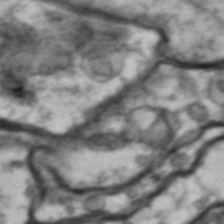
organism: Drosophila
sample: Brain